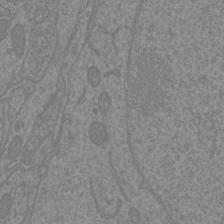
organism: Mouse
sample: Cortical neurons